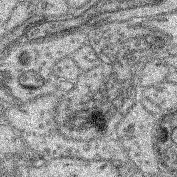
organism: Mouse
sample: Retina